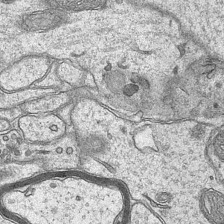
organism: Mouse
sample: CA1 Hippocampus